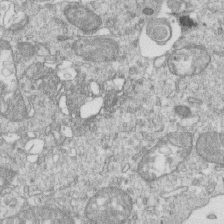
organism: Mouse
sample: Activated OT-1 CD8+ T cells